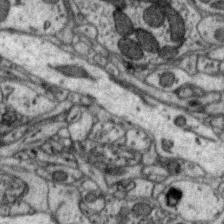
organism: Zebra finch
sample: Brain